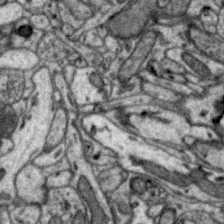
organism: Zebra finch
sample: Brain